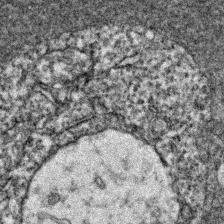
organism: Zebrafish